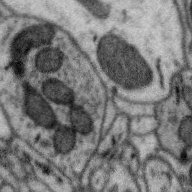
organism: Zebra finch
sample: Brain